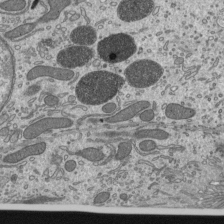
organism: Mouse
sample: Mouse epididymis efferent ductule cilia